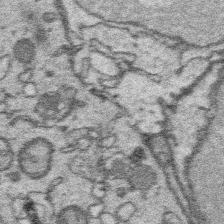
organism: Platynereis dumerilii